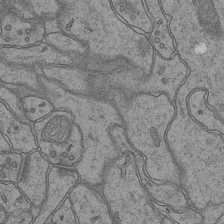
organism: Mouse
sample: CA1 Hippocampus